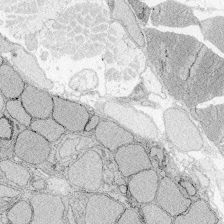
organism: Zebrafish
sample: Whole-Brain